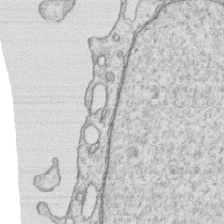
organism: Human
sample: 1205lu cells